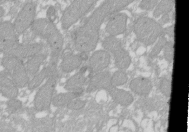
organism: Xenopus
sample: Cilia; centrioles in frog embryo cells